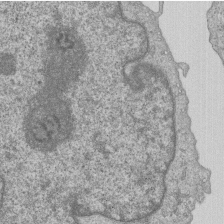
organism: Human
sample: MDA-MB-231 cells